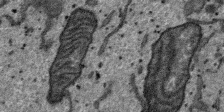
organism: Human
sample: Lung epithelial cells, uninfected (mock) control